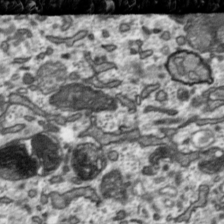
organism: Toxoplasma gondii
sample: Parasites in a vacuole inside a host cell